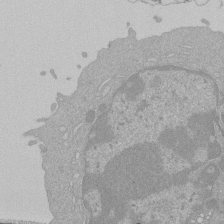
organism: Mouse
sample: Activated Pmel transgenic CD8+ T Cells